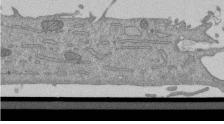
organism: Mouse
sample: ED-1 cell nuclei; centrioles